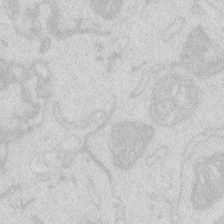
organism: Zebrafish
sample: Macrophage